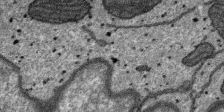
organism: Human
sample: Lung epithelial cells, uninfected (mock) control